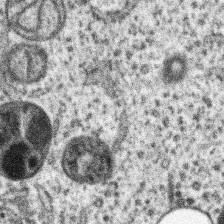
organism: Human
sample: HeLa cells